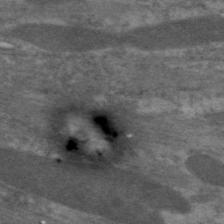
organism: C. elegans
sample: Pharynx